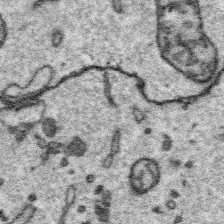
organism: Platynereis dumerilii